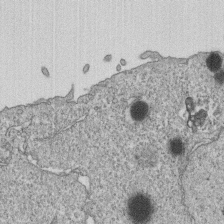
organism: Human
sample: HeLa cell HIV synapse